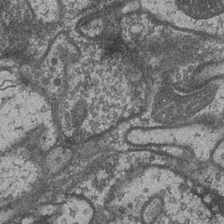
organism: Drosophila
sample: Optic medulla